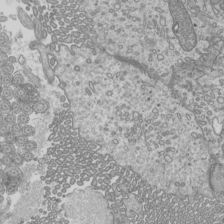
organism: Mouse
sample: Cilia; mouse epididymis